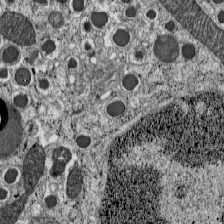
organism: C57BL Mouse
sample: Pancreatic islet